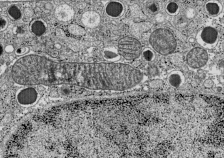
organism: C57BL Mouse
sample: Pancreatic islet